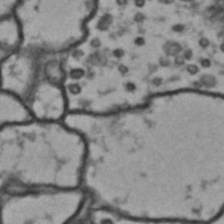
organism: Drosophila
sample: Brain